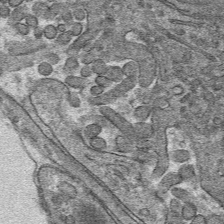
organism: Mouse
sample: Mouse hepatocytes